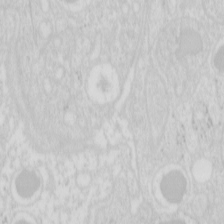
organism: Mouse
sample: Pancreas